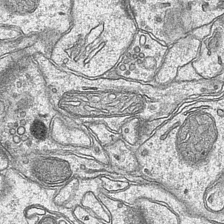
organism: Mouse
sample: CA1 Hippocampus